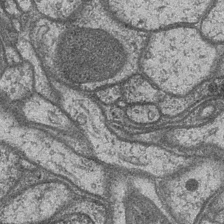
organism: Drosophila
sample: Optic medulla